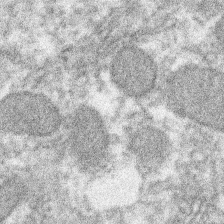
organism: Xenopus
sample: Cilia; centrioles in frog embryo cells